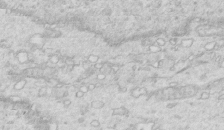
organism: Mouse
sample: Multiciliated cells